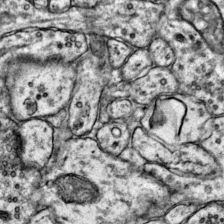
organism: Mouse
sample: Primary visual cortex